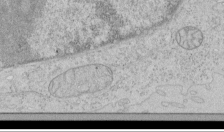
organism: Human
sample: Mitochondria in HCT116 cells